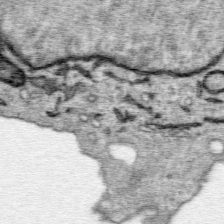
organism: Human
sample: HeLa cells